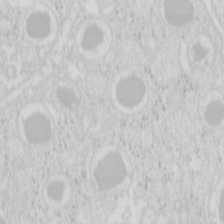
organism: Mouse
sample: Pancreas